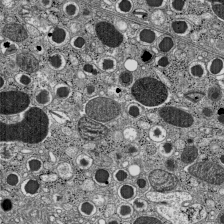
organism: C57BL Mouse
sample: Pancreatic islet